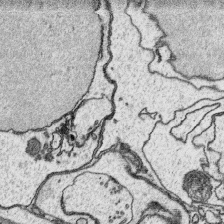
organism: Platynereis dumerilii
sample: Parapodia